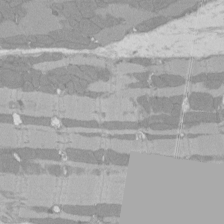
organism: Rat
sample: Left ventricle